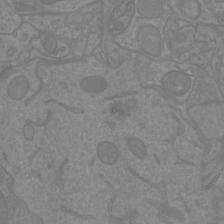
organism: Mouse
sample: Cortical neurons